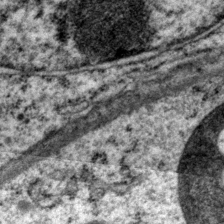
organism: P. pacificus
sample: Pharynx